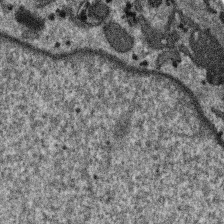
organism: Human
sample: Lung epithelial cells infected with SARS-CoV-2